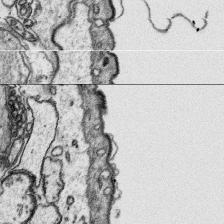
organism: Platynereis dumerilii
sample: Parapodia